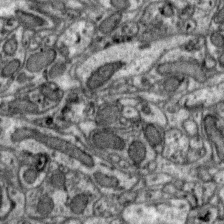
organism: Zebra finch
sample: Brain